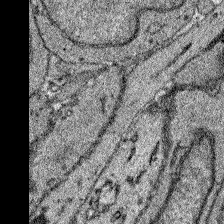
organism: Zebrafish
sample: Larval olfactory bulb